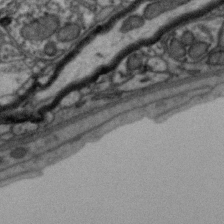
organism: Zebra finch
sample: Brain